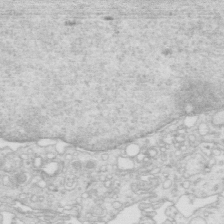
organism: Mouse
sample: Multiciliated cells